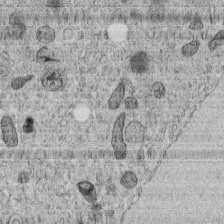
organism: C. elegans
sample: C. elegans embryo early stage